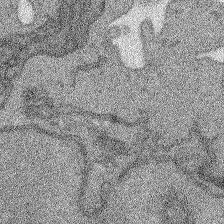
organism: Human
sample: HeLa cells